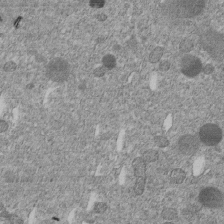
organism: C. elegans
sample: C. elegans embryo early stage